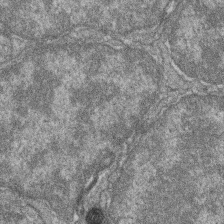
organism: Zebrafish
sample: Cilia; retinal pigment epithelium